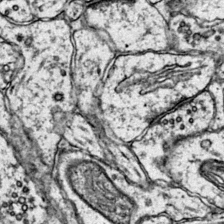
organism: Mouse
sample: Primary visual cortex